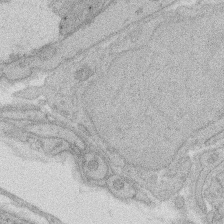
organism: Rat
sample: Salivary granule